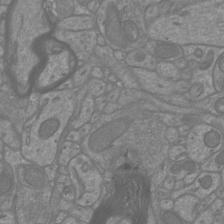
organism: Mouse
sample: Cortical neurons